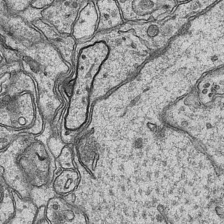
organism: Mouse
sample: CA1 Hippocampus